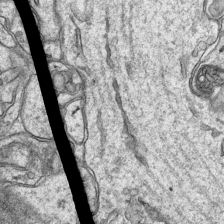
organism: Mouse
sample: CA1 Hippocampus